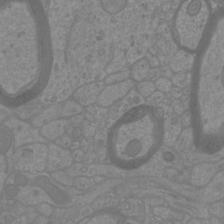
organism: Mouse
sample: Cortical neurons